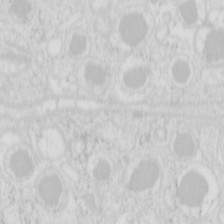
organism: Mouse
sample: Pancreas